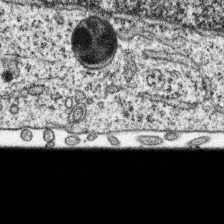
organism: Human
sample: HeLa cells